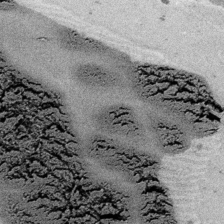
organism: Embia sp.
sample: Silk gland